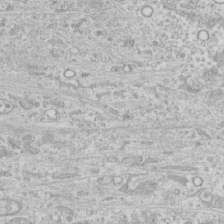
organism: Human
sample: CRL-1474